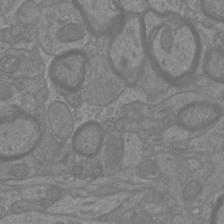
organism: Mouse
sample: Cortical neurons